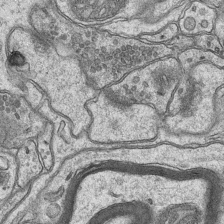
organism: Mouse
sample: CA1 Hippocampus